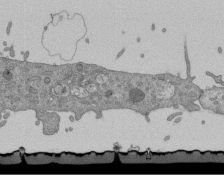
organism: Mouse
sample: ED-1 cell nuclei; centrioles